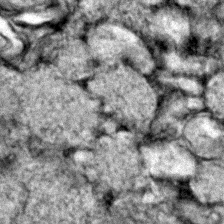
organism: Zebrafish